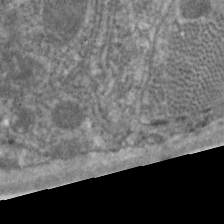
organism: C. elegans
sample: Pharynx